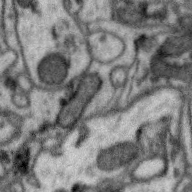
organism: Zebra finch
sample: Brain